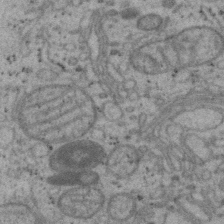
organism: Human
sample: HeLa cells